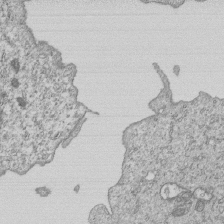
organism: Human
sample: MDA-MB-231 cells